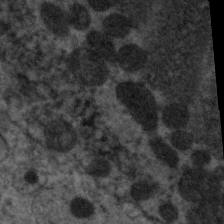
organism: C. elegans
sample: Pharynx